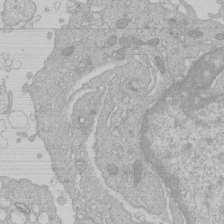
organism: Human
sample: Macrophage cells